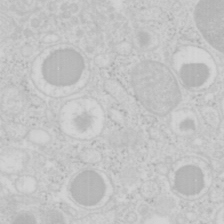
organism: Mouse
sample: Pancreas